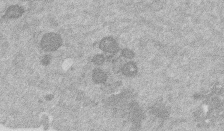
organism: Mouse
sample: Dividing mouse embryo 1 cell stage